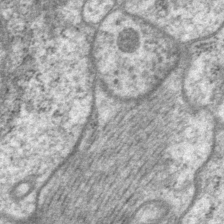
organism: P. pacificus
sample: Pharynx